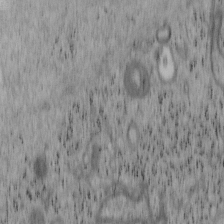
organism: Human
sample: HeLa cells